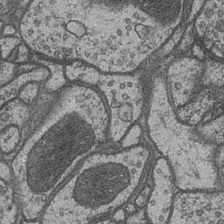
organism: Drosophila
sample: Optic medulla